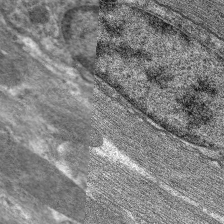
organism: C. elegans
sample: Pharynx